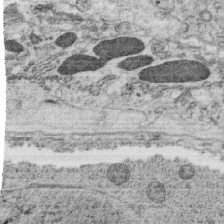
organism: C. elegans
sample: C. elegans oocyte; sperm cells